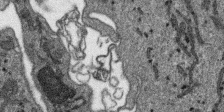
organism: Human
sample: Lung epithelial cells infected with SARS-CoV-2